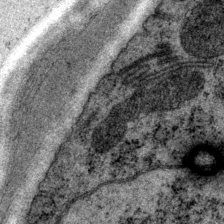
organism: P. pacificus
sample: Pharynx